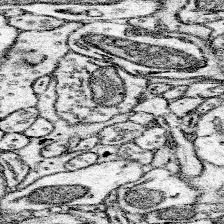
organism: Mouse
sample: Somatosensory cortex neuropil